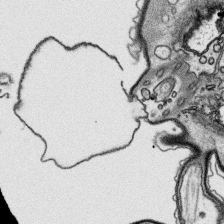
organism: Platynereis dumerilii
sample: Parapodia